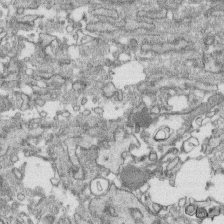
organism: Human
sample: CRL-1474